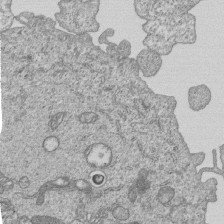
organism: Human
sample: MDA-MB-231 cells